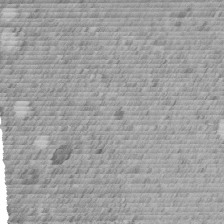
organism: C. elegans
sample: C. elegans embryo early stage